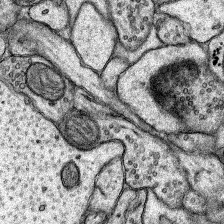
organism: Rat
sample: Hippocampus